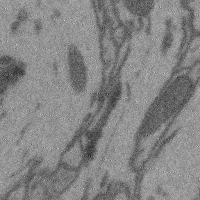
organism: Mouse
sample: Cerebral cortex